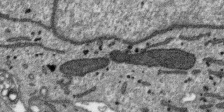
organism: Human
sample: Lung epithelial cells, uninfected (mock) control